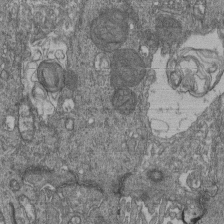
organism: Human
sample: Retinal organoid Rod and Cone cells